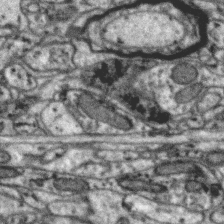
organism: Zebra finch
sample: Brain